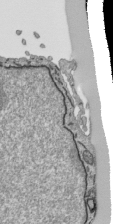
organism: Human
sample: Mitochondria in HCT116 cells